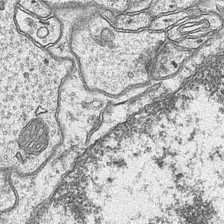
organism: Mouse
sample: CA1 Hippocampus